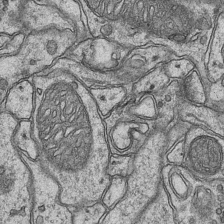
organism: Mouse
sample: CA1 Hippocampus